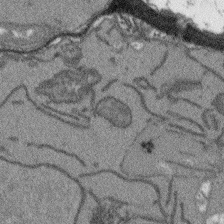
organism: Arabidopsis thaliana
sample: Root tip